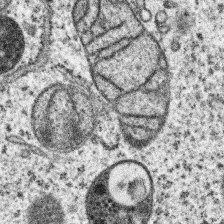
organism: Human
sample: HeLa cells